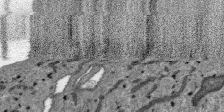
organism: Human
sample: Lung epithelial cells, uninfected (mock) control